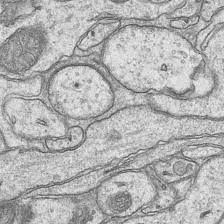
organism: Mouse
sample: CA1 Hippocampus